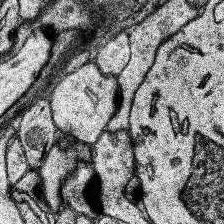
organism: Human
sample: Temporal Lobe